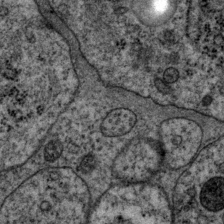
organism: P. pacificus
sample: Pharynx